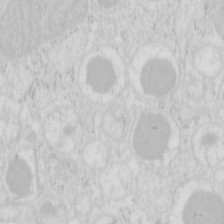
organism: Mouse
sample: Pancreas